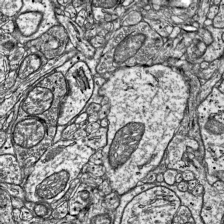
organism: Mouse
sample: Visual Cortex